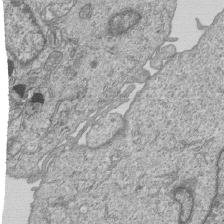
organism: Human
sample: MDA-MB-231 cells